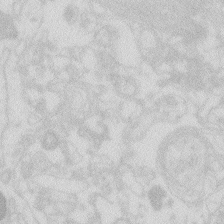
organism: Zebrafish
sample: Macrophage